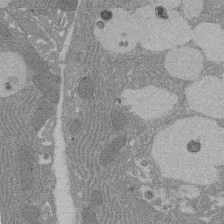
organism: Rat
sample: Salivary granule